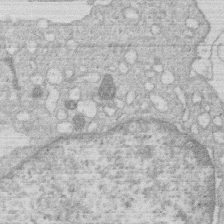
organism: Human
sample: Macrophage cells